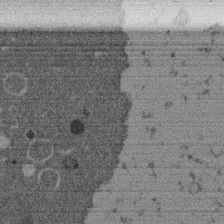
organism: Mouse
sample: Dividing mouse embryo 1 cell stage